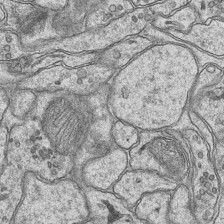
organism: Mouse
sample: CA1 Hippocampus